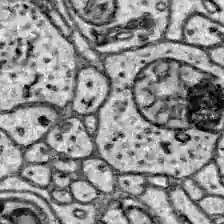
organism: Zebrafish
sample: Brain